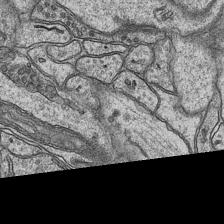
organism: Mouse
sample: CA1 Hippocampus